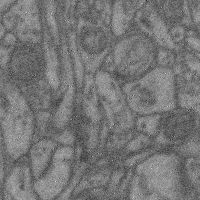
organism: Mouse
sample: Cerebral cortex